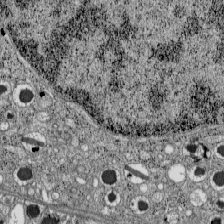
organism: C57BL Mouse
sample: Pancreatic islet